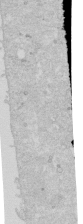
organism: Human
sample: Caco-2 cells